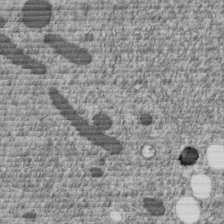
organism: C. elegans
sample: C. elegans embryo early stage